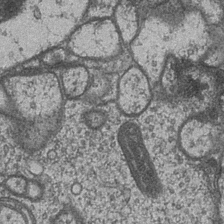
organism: Drosophila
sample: Optic medulla